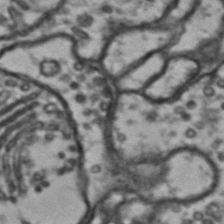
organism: Drosophila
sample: Brain